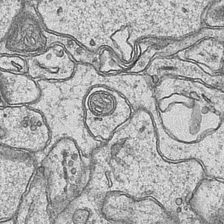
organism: Mouse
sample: CA1 Hippocampus